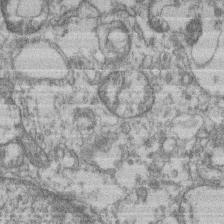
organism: Mouse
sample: T cell stromal cell synapse